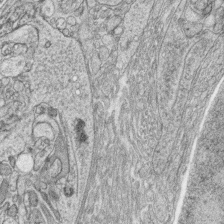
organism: Zebrafish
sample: synaptic ribbons in rod cells and cone cells